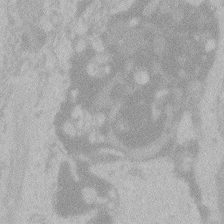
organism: Zebrafish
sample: Macrophage infected with Toxoplasma gondii